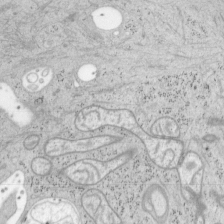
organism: Mouse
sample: OT-I killer T cells with ID8 ovarian cancer cells